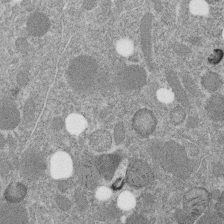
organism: C. elegans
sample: C. elegans embryo early stage